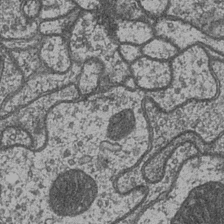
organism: Drosophila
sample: Optic medulla